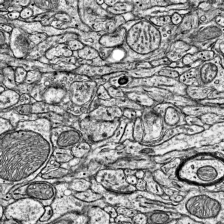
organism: Mouse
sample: Visual Cortex